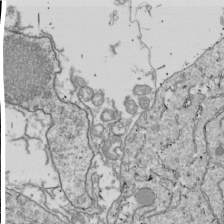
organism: Drosophila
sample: Cell division; meiosis; drosophila spermatocytes